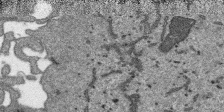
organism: Human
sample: Lung epithelial cells infected with SARS-CoV-2